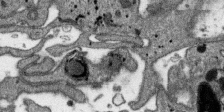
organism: Human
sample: Lung epithelial cells, uninfected (mock) control